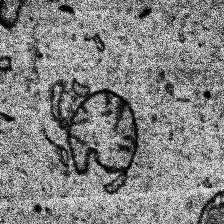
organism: Human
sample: Temporal Lobe